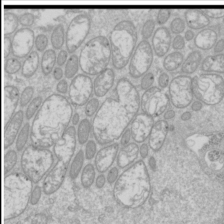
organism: Drosophila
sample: Cell division; meiosis; drosophila spermatocytes